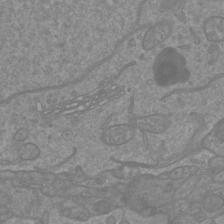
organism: Mouse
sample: Cortical neurons